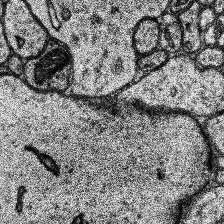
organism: Human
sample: Temporal Lobe